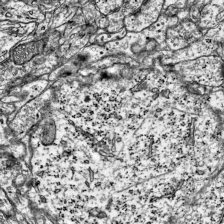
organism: Mouse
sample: Visual Cortex